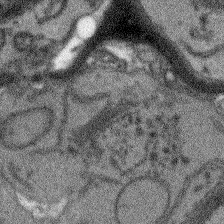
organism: Arabidopsis thaliana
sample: Root tip